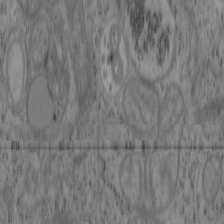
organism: Human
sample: HeLa cells